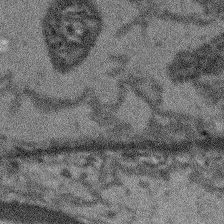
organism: Arabidopsis thaliana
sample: Root tip